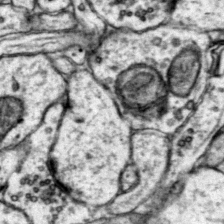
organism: Mouse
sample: Primary visual cortex